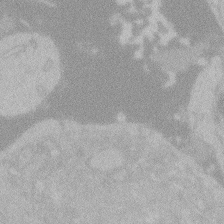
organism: Zebrafish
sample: Macrophage infected with Toxoplasma gondii